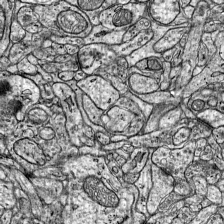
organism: Mouse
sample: Visual Cortex